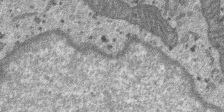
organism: Human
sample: Lung epithelial cells infected with SARS-CoV-2